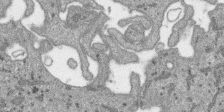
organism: Human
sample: Lung epithelial cells infected with SARS-CoV-2